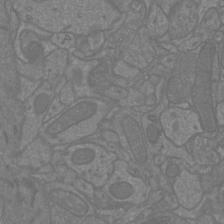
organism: Mouse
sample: Cortical neurons